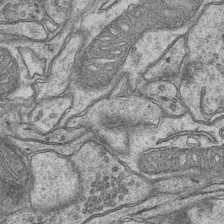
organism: Mouse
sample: CA1 Hippocampus